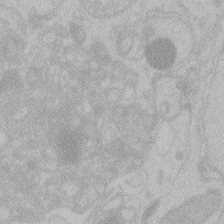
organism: Zebrafish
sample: Macrophage infected with Toxoplasma gondii